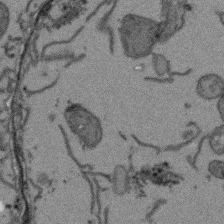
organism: Arabidopsis thaliana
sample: Root tip